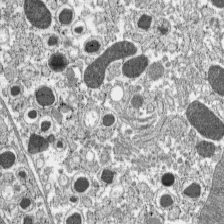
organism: C57BL Mouse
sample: Pancreatic islet